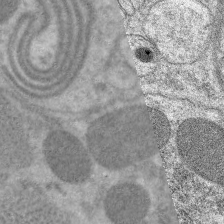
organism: C. elegans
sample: Pharynx